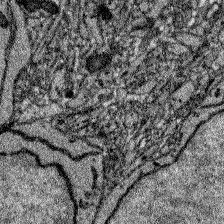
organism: Zebrafish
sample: Larval olfactory bulb